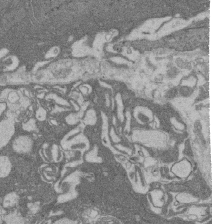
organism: Rat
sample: Salivary granule